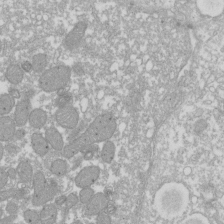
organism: Xenopus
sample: Cilia; centrioles in frog embryo cells